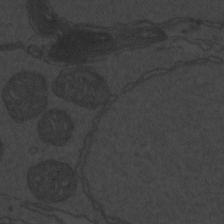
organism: Zebrafish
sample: Macrophage infected with Toxoplasma gondii